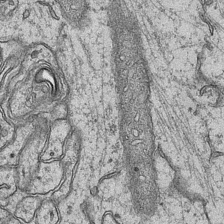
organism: Mouse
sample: CA1 Hippocampus